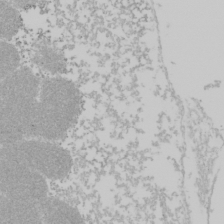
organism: Mouse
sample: Cancer cell death in ED-1 cells